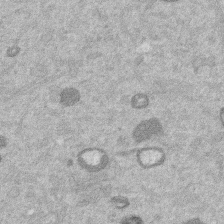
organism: Mouse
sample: Dividing mouse embryo 1 cell stage